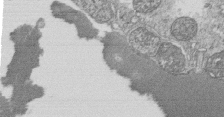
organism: Tetrahymena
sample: Cilia in tetrahymena